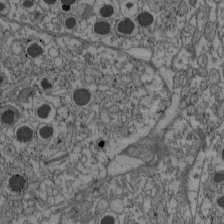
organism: C57BL Mouse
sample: Pancreatic islet